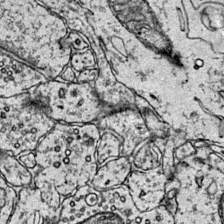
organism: Mouse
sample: Primary visual cortex